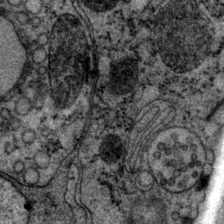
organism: P. pacificus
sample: Pharynx